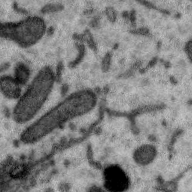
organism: Zebra finch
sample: Brain